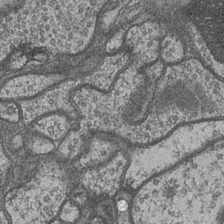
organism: Drosophila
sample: Optic medulla